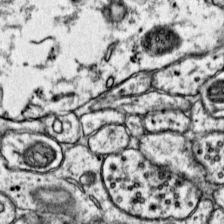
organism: Mouse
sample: Primary visual cortex